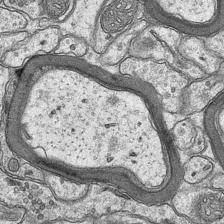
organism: Mouse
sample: CA1 Hippocampus